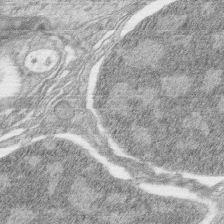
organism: Zebrafish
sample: synaptic ribbons in rod cells and cone cells